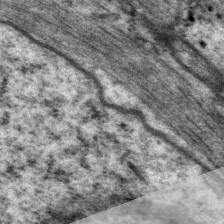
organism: P. pacificus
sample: Pharynx